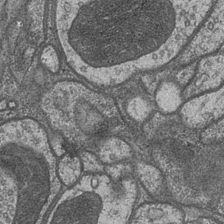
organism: Drosophila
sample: Optic medulla